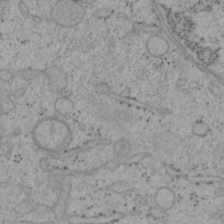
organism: Human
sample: HeLa cells